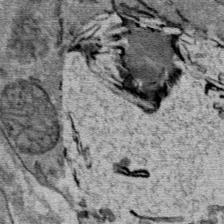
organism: Mouse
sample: Mouse Salivary gland